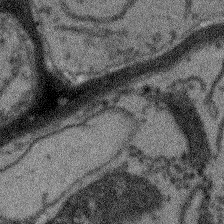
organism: Arabidopsis thaliana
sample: Root tip